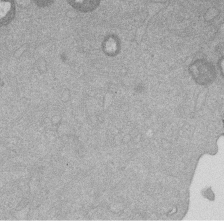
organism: Mouse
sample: Dividing mouse embryo 1 cell stage